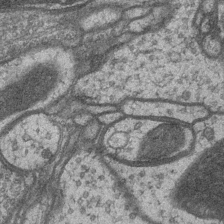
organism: Drosophila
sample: Optic medulla